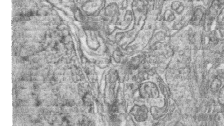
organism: Zebrafish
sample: synaptic ribbons in rod cells and cone cells